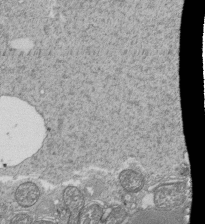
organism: Tetrahymena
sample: Cilia in tetrahymena